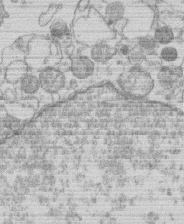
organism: Human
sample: Macrophage cells